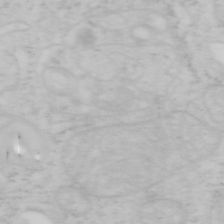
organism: Mouse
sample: OT-I killer T cells with ID8 ovarian cancer cells